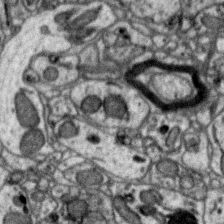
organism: Zebra finch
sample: Brain